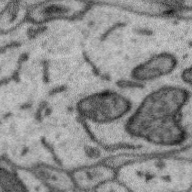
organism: Zebra finch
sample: Brain